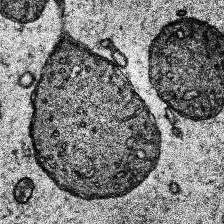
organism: Human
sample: Temporal Lobe